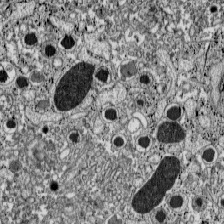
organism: C57BL Mouse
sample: Pancreatic islet